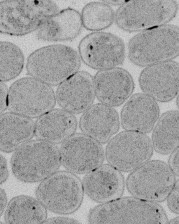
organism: E. coli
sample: Bacterial nucleoid